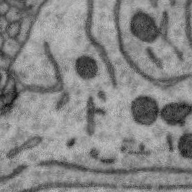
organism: Zebra finch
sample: Brain